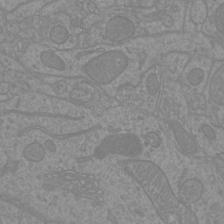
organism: Mouse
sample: Cortical neurons